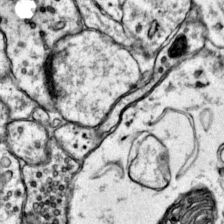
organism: Mouse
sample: Primary visual cortex